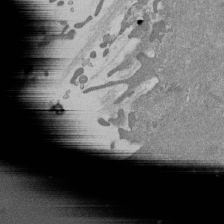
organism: Mouse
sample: ED-1 cell nuclei; centrioles